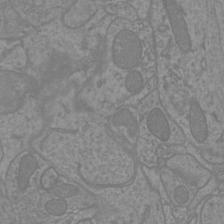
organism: Mouse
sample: Cortical neurons